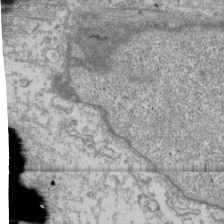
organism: Human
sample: Fibroblast cells